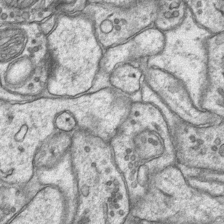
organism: Mouse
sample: CA1 Hippocampus